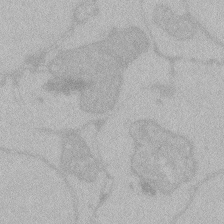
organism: Zebrafish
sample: Macrophage infected with Toxoplasma gondii